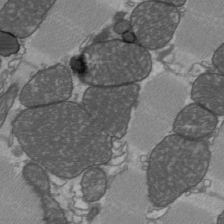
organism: C57BL Mouse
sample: Heart